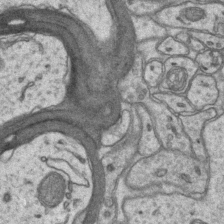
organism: Mouse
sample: CA1 Hippocampus